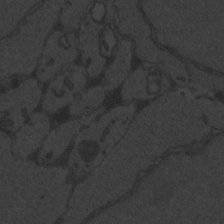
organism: Zebrafish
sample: Macrophage infected with Toxoplasma gondii